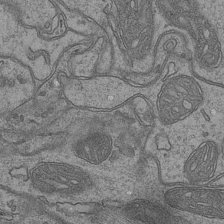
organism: Mouse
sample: CA1 Hippocampus